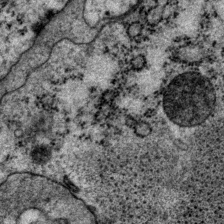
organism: P. pacificus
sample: Pharynx